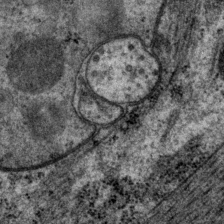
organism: P. pacificus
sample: Pharynx